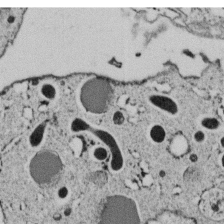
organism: C. elegans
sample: C. elegans embryo early stage